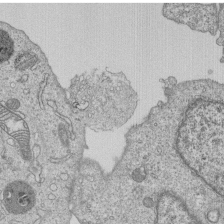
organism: Human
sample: MDA-MB-231 cells